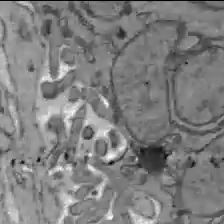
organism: C57BL Mouse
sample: Liver